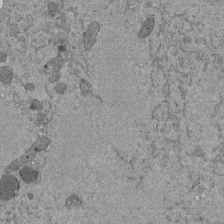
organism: Mouse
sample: ED-1 cell nuclei; centrioles